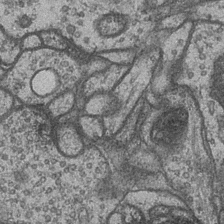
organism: Drosophila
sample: Optic medulla